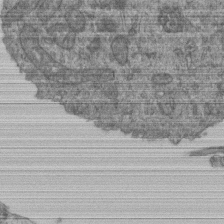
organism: Human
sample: Retinal organoid Rod and Cone cells